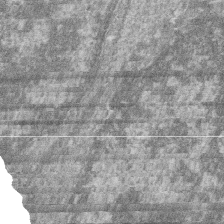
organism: Zebrafish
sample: Cilia; retinal pigment epithelium